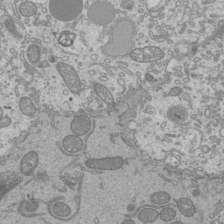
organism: Mouse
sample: Cilia; mouse epididymis